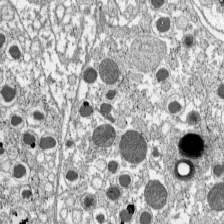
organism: C57BL Mouse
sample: Pancreatic islet